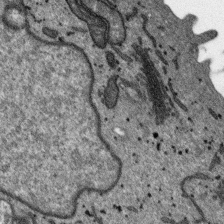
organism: Human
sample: Lung epithelial cells, uninfected (mock) control